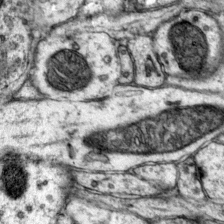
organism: Mouse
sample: Primary visual cortex